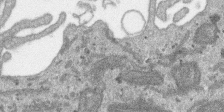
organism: Human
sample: Lung epithelial cells infected with SARS-CoV-2